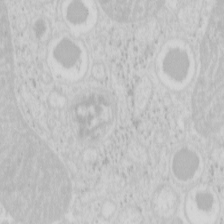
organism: Mouse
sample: Pancreas